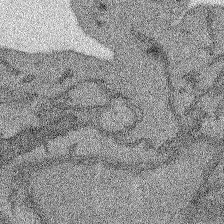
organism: Human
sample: HeLa cells